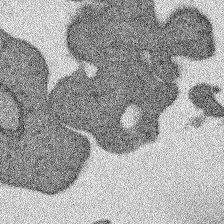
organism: Human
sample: HeLa cells